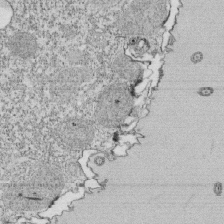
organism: Tetrahymena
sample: Cilia in tetrahymena